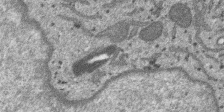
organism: Human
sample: Lung epithelial cells infected with SARS-CoV-2